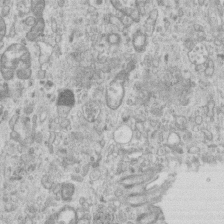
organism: Mouse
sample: Centriole in ependymal cells